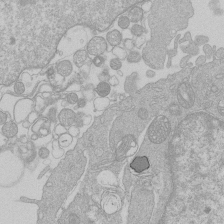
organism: Human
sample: Macrophage cells